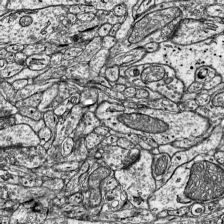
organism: Mouse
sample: Visual Cortex